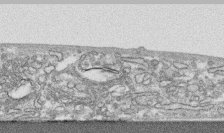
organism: Human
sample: CRL-1474